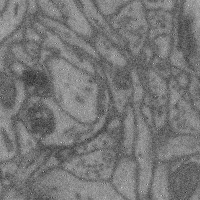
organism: Mouse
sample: Cerebral cortex